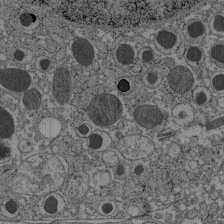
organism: C57BL Mouse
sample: Pancreatic islet